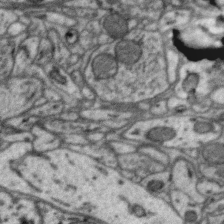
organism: Zebra finch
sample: Brain